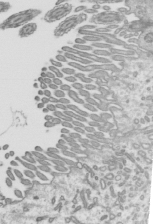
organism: Mouse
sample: Mouse epididymis efferent ductule cilia